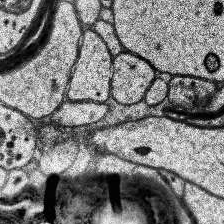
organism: Human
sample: Temporal Lobe